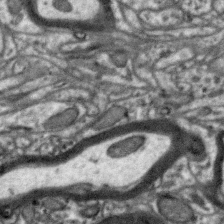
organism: Zebra finch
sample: Brain